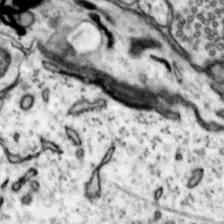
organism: Mouse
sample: Nucleus accumbens